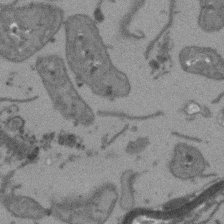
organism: Arabidopsis thaliana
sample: Root tip